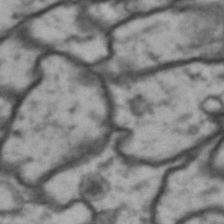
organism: Drosophila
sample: Brain